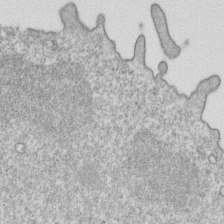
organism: Mouse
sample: Activated OT-1 CD8+ T cells